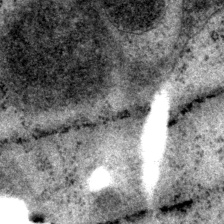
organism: P. pacificus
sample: Pharynx